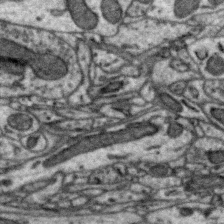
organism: Zebra finch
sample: Brain